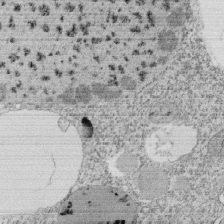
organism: Tetrahymena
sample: Cilia in tetrahymena